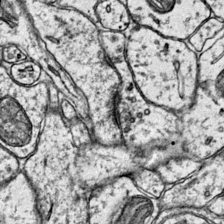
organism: Mouse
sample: Primary visual cortex